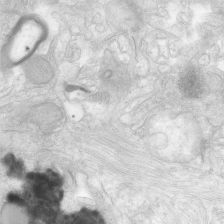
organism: Human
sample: Neocortex